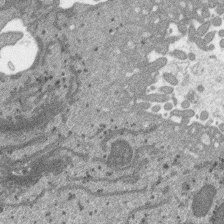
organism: Human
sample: Lung epithelial cells infected with SARS-CoV-2